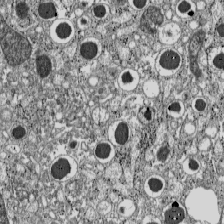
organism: C57BL Mouse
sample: Pancreatic islet